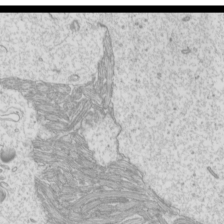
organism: Mouse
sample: Cilia; mouse epididymis